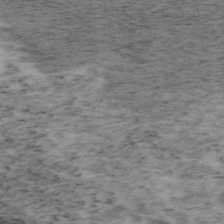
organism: Mouse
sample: OT-I killer T cells with ID8 ovarian cancer cells